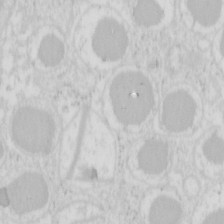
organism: Mouse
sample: Pancreas